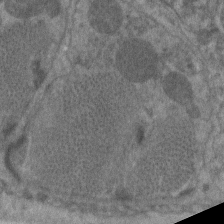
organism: C. elegans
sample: Pharynx